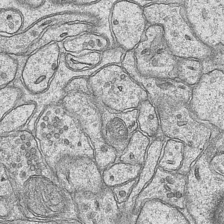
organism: Mouse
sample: CA1 Hippocampus